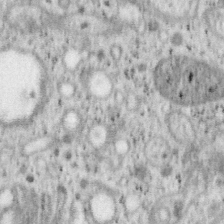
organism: Mouse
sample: OT-I killer T cells with ID8 ovarian cancer cells